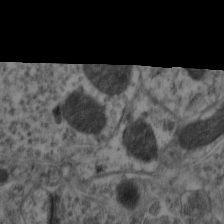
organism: Mouse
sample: Neocortex